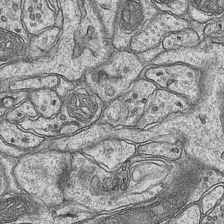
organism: Mouse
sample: CA1 Hippocampus